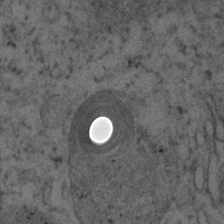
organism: Human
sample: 1205lu cells